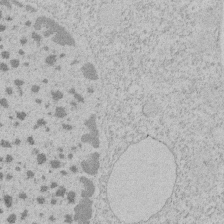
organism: Tetrahymena